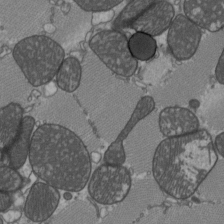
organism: C57BL Mouse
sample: Heart